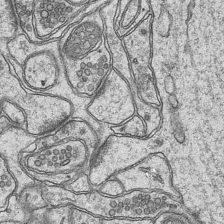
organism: Mouse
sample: CA1 Hippocampus